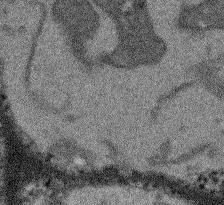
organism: Arabidopsis thaliana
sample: Root tip